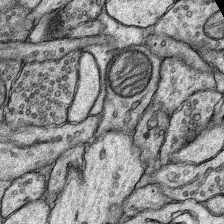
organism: Rat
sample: Hippocampus